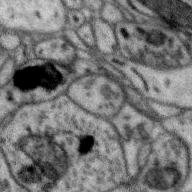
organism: Zebra finch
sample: Brain